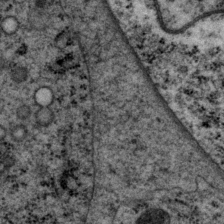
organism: P. pacificus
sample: Pharynx